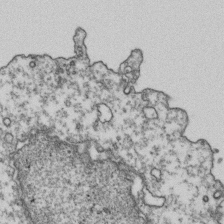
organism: Human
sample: Activated Jurkat CD4+ T cells